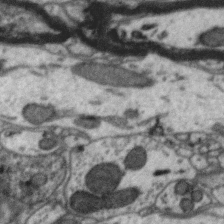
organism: Zebra finch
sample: Brain